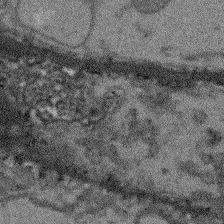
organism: Arabidopsis thaliana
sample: Root tip